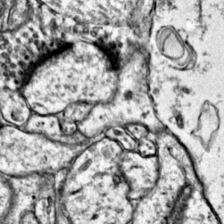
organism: Mouse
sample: Primary visual cortex